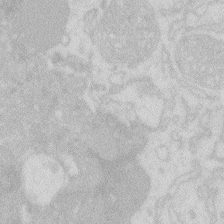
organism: Zebrafish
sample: Macrophage